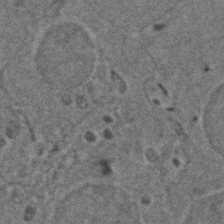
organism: Zebrafish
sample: Zebrafish embryo